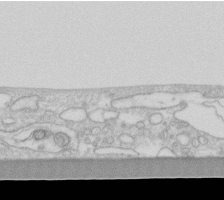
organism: Human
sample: Fibroblast cells